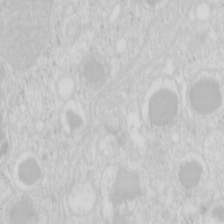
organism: Mouse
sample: Pancreas